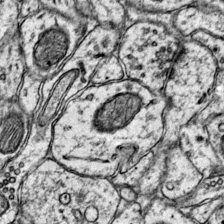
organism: Mouse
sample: Primary visual cortex